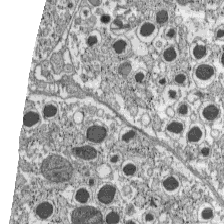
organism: C57BL Mouse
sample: Pancreatic islet